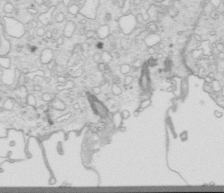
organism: Mouse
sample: Multiciliated cells